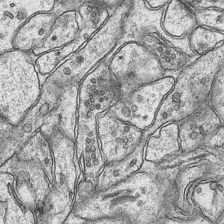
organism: Mouse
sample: CA1 Hippocampus